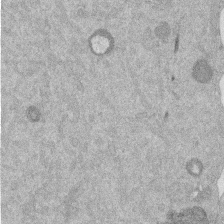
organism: Mouse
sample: Dividing mouse embryo 1 cell stage